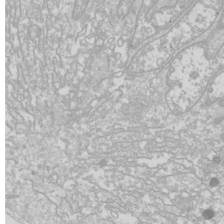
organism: Drosophila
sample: Cell division; meiosis; drosophila spermatocytes